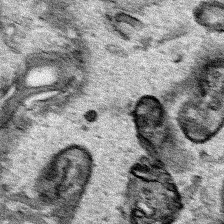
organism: Human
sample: Mitochondria in HCT116 cells